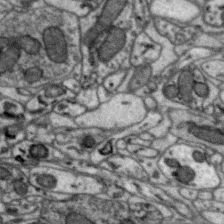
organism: Zebra finch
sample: Brain